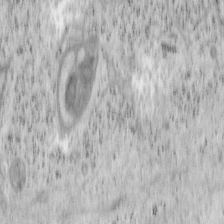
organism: Human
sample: HeLa cells